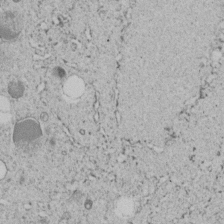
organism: C. elegans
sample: C. elegans embryo early stage